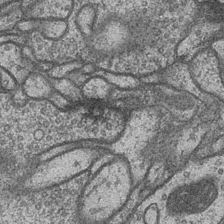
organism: Drosophila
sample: Optic medulla